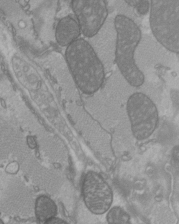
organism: C57BL Mouse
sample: Heart